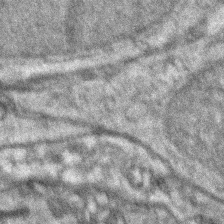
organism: Zebrafish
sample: Zebrafish embryo